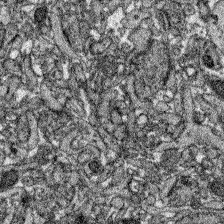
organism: Zebrafish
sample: Larval olfactory bulb